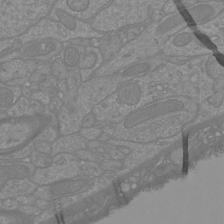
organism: Mouse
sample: Cortical neurons